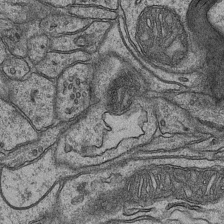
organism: Mouse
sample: CA1 Hippocampus